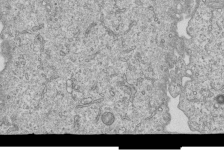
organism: Human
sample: MDA-MB-231 cells